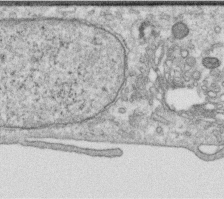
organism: Human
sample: Centriole in RPE cells